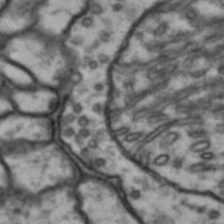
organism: Drosophila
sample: Brain